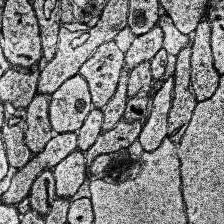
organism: Human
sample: Temporal Lobe